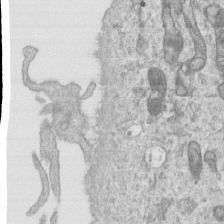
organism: Human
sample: Centriole in RPE cells